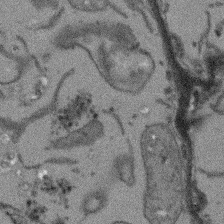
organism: Arabidopsis thaliana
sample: Root tip